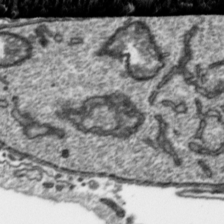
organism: Toxoplasma gondii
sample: Parasites in a vacuole inside a host cell